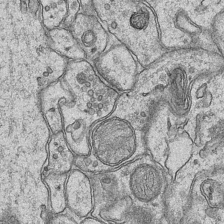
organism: Mouse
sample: CA1 Hippocampus